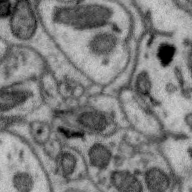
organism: Zebra finch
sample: Brain